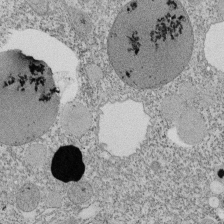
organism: Tetrahymena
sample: Cilia in tetrahymena